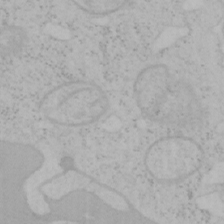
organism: Mouse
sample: OT-I killer T cells with ID8 ovarian cancer cells